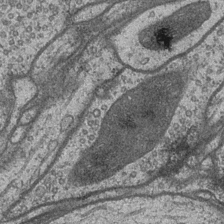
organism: Drosophila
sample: Optic medulla